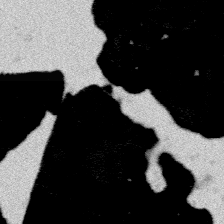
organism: Platynereis dumerilii